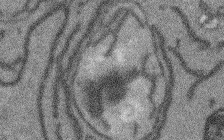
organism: Arabidopsis thaliana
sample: Root tip